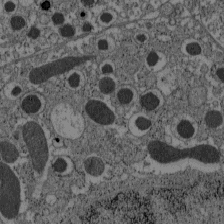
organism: C57BL Mouse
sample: Pancreatic islet